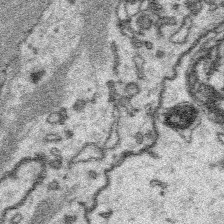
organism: Platynereis dumerilii